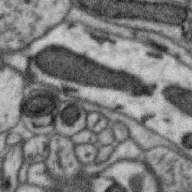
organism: Zebra finch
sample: Brain